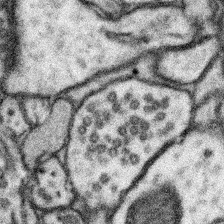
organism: Mouse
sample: Somatosensory cortex neuropil